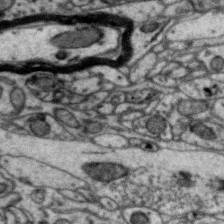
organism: Zebra finch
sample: Brain